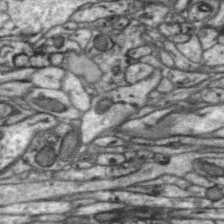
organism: Zebra finch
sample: Brain